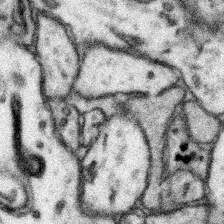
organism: Mouse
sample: Somatosensory cortex neuropil